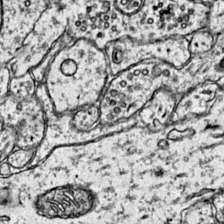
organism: Mouse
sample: Primary visual cortex